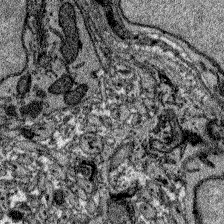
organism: Zebrafish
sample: Larval olfactory bulb